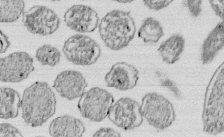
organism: E. coli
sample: Bacterial nucleoid